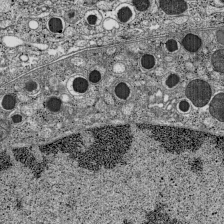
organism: C57BL Mouse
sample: Pancreatic islet